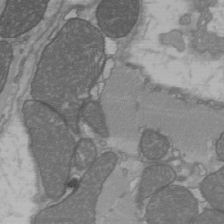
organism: C57BL Mouse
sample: Heart